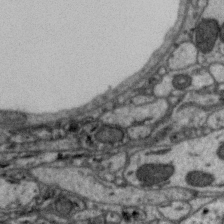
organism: Zebra finch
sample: Brain